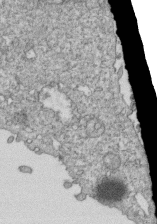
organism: Human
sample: HeLa cell HIV synapse